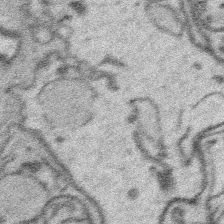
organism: Platynereis dumerilii